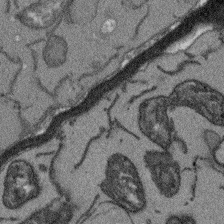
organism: Arabidopsis thaliana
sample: Root tip